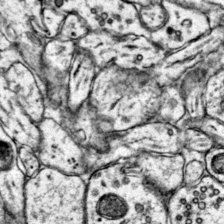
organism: Mouse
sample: Primary visual cortex